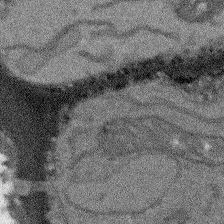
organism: Arabidopsis thaliana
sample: Root tip